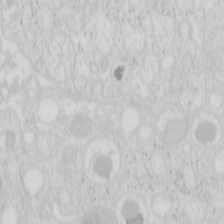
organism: Mouse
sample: Pancreas